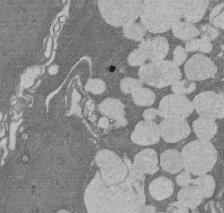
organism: Rat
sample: Salivary granule